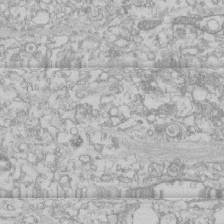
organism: Human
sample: CRL-1474